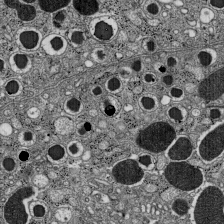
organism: C57BL Mouse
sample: Pancreatic islet